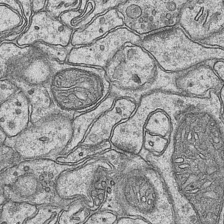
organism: Mouse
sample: CA1 Hippocampus